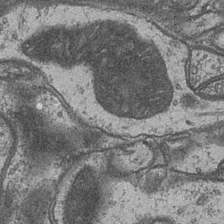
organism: Drosophila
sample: Optic medulla